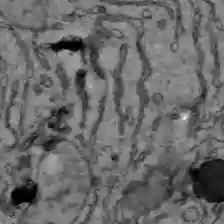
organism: C57BL Mouse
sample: Liver